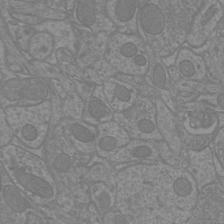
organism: Mouse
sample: Cortical neurons